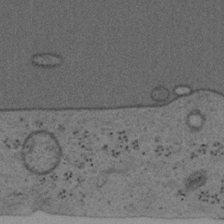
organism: Human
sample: HeLa cells